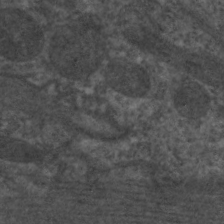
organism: C. elegans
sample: Pharynx